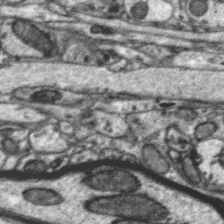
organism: Zebra finch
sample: Brain